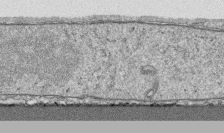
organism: Human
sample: CRL-1474